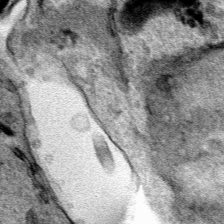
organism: Human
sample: Mitochondria in HCT116 cells